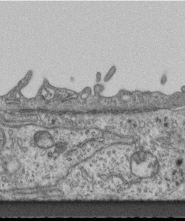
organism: Mouse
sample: Centriole in ependymal cells